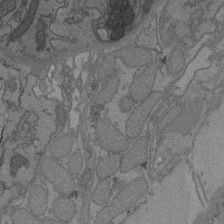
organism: C. elegans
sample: AFD neurons C. elegans